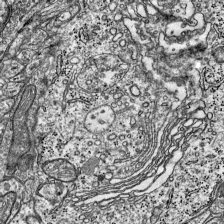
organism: Mouse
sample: Visual Cortex